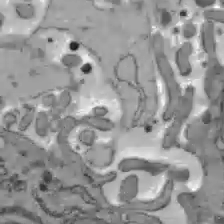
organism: C57BL Mouse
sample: Liver